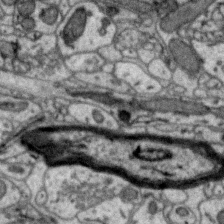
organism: Zebra finch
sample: Brain